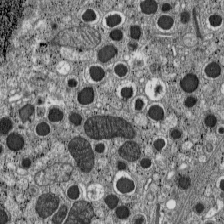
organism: C57BL Mouse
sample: Pancreatic islet